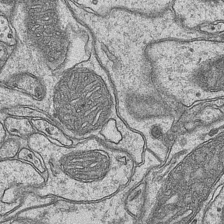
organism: Mouse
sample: CA1 Hippocampus